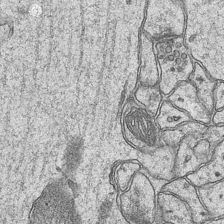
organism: Mouse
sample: CA1 Hippocampus